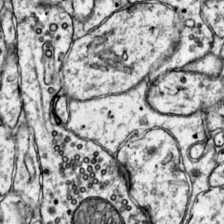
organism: Mouse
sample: Primary visual cortex